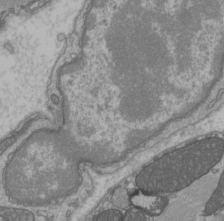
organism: C57BL Mouse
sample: Heart